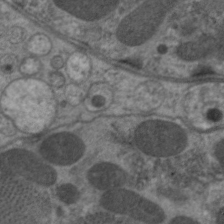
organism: C. elegans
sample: Pharynx